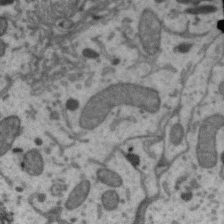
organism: Zebra finch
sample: Brain